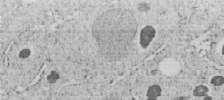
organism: C. elegans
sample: C. elegans embryo early stage